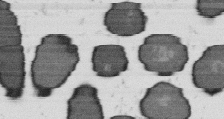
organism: B. subtilis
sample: Bacterial spore